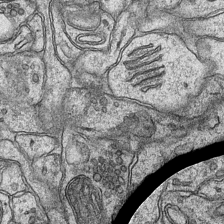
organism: Mouse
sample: CA1 Hippocampus